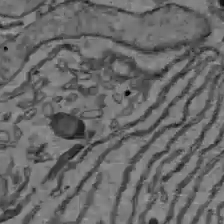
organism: C57BL Mouse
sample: Liver